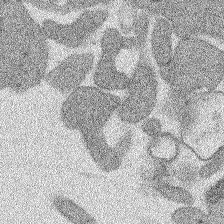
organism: Human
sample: HeLa cells